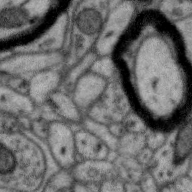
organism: Zebra finch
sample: Brain